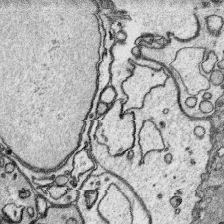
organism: Platynereis dumerilii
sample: Parapodia